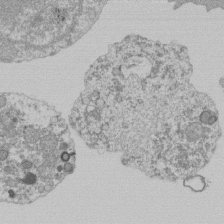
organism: Mouse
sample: Activated Pmel transgenic CD8+ T Cells